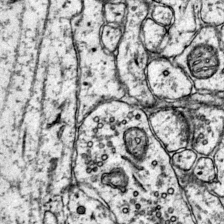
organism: Mouse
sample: Primary visual cortex